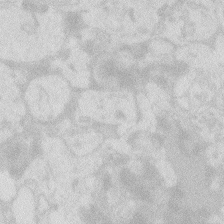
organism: Zebrafish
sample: Macrophage